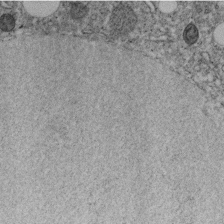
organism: C. elegans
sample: C. elegans embryo early stage